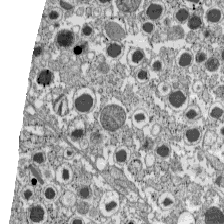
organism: C57BL Mouse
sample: Pancreatic islet